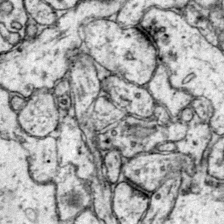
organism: Mouse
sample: Primary visual cortex